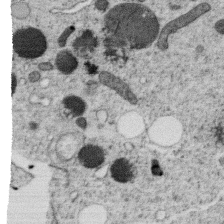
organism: C. elegans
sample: C. elegans oocyte; sperm cells